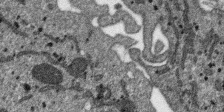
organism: Human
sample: Lung epithelial cells infected with SARS-CoV-2